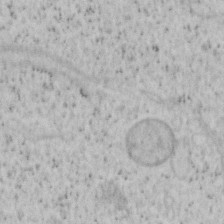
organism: Human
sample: HeLa cells